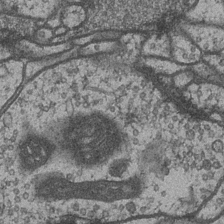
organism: Drosophila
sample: Optic medulla